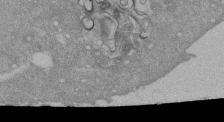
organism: Mouse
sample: ED-1 cell nuclei; centrioles